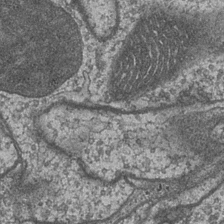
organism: Drosophila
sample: Optic medulla